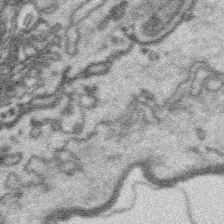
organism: Platynereis dumerilii